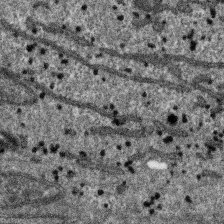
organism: Human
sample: Lung epithelial cells infected with SARS-CoV-2